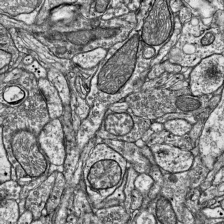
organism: Mouse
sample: Visual Cortex